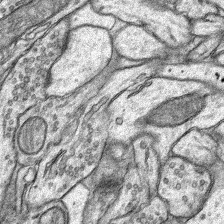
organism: Rat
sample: Hippocampus